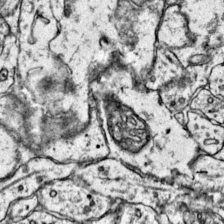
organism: Mouse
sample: Primary visual cortex